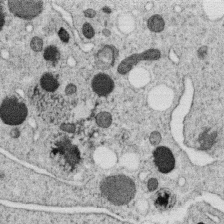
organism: C. elegans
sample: C. elegans oocyte; sperm cells